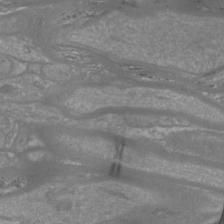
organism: Mouse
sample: Cortical neurons